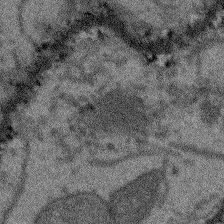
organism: Arabidopsis thaliana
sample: Root tip